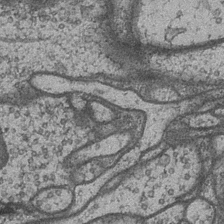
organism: Drosophila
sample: Optic medulla